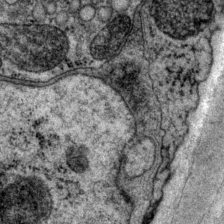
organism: P. pacificus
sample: Pharynx